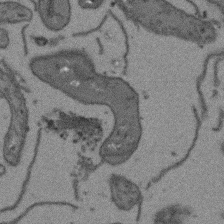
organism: Arabidopsis thaliana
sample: Root tip